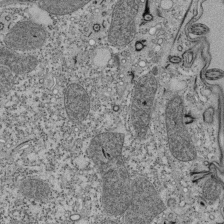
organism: Tetrahymena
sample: Cilia in tetrahymena